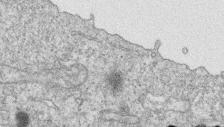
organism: Human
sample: HeLa cell HIV synapse